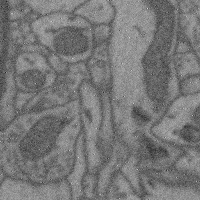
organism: Mouse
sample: Cerebral cortex